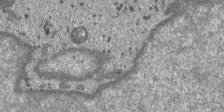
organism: Human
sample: Lung epithelial cells infected with SARS-CoV-2